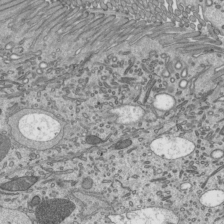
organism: Mouse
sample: Mouse epididymis efferent ductule cilia